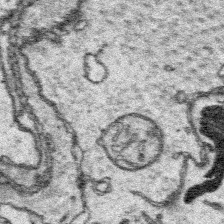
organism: Platynereis dumerilii